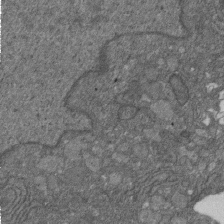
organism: Drosophila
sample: Nephrocyte